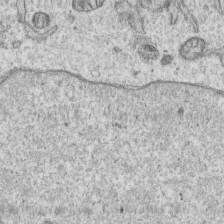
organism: Human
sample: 1205lu cells